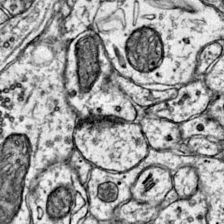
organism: Mouse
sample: Primary visual cortex